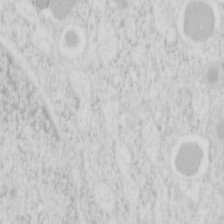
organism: Mouse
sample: Pancreas